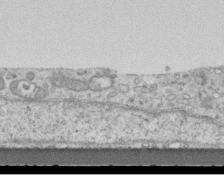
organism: Mouse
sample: Centriole in ependymal cells